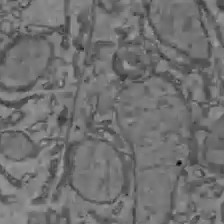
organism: C57BL Mouse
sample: Liver